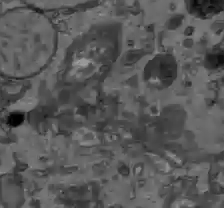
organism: C57BL Mouse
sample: Liver